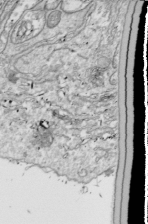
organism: Drosophila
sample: Cell division; meiosis; drosophila spermatocytes